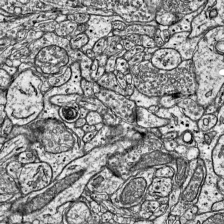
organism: Mouse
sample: Visual Cortex